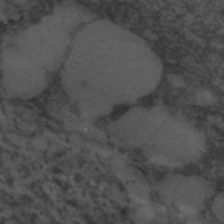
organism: C. elegans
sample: C. elegans embryo